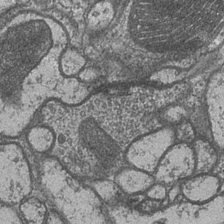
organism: Drosophila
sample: Optic medulla